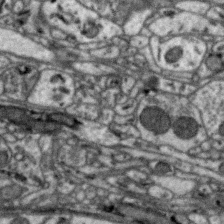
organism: Zebra finch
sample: Brain